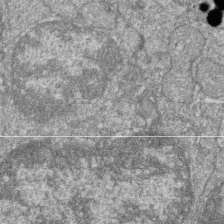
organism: Zebrafish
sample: Cilia; retinal pigment epithelium